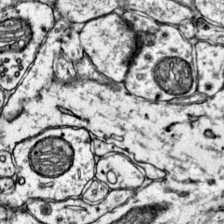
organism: Mouse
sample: Primary visual cortex